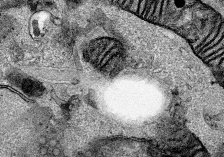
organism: Human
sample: Mitochondria in HCT116 cells